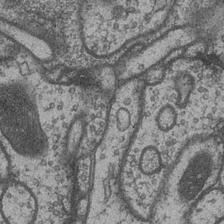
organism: Drosophila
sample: Optic medulla